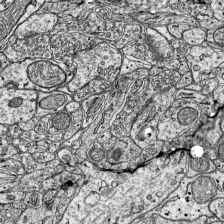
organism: Mouse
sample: Visual Cortex